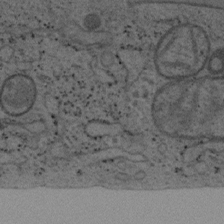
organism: Human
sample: HeLa cells